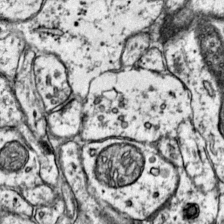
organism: Mouse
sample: Primary visual cortex